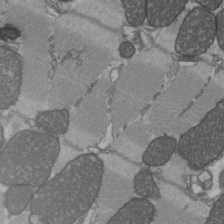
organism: C57BL Mouse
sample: Heart